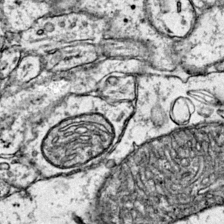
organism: Mouse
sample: Primary visual cortex